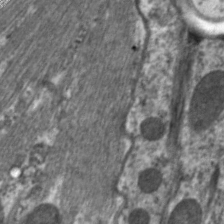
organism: C. elegans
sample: Pharynx